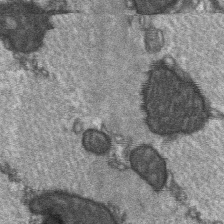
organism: C57BL Mouse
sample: Soleus